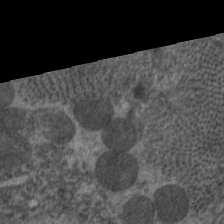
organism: C. elegans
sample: Pharynx